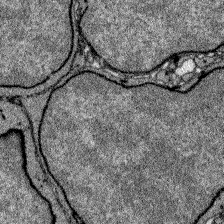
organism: Zebrafish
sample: Larval olfactory bulb